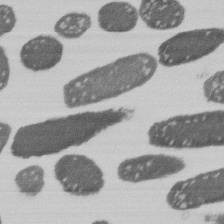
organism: E. coli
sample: Bacterial nucleoid